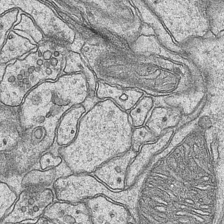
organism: Mouse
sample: CA1 Hippocampus